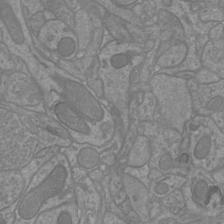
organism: Mouse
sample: Cortical neurons